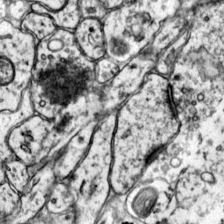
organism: Mouse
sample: Primary visual cortex